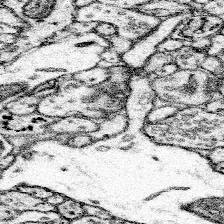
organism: Mouse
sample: Somatosensory cortex neuropil